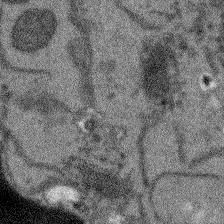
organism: Arabidopsis thaliana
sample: Root tip